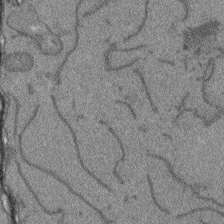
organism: Arabidopsis thaliana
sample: Root tip